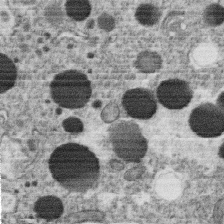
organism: C. elegans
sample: C. elegans oocyte; sperm cells